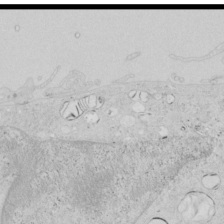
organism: Human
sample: Mitochondria in HCT116 cells